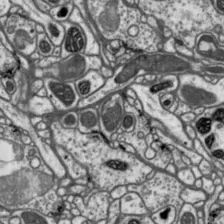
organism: Drosophila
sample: Protocerebral bridge